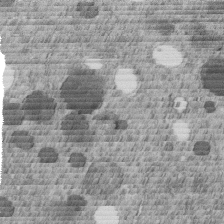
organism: C. elegans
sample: C. elegans embryo early stage